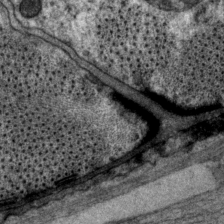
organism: P. pacificus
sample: Pharynx